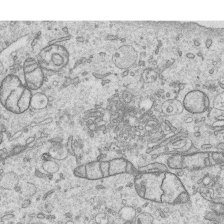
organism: Human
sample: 1205lu cells